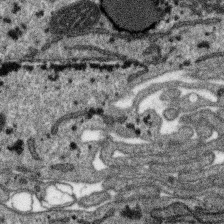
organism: Human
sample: Lung epithelial cells infected with SARS-CoV-2